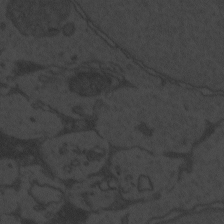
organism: Zebrafish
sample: Macrophage infected with Toxoplasma gondii